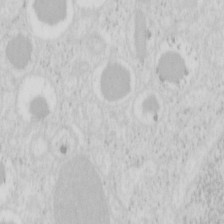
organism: Mouse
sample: Pancreas